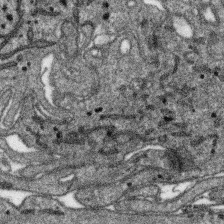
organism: Human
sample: Lung epithelial cells infected with SARS-CoV-2